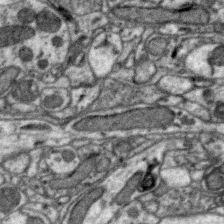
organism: Zebra finch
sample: Brain